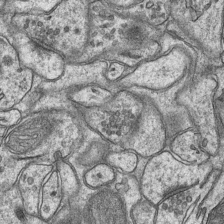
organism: Mouse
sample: CA1 Hippocampus